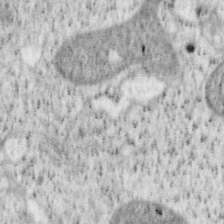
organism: Mouse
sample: OT-I killer T cells with ID8 ovarian cancer cells